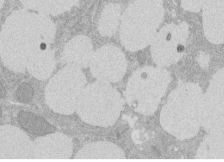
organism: Rat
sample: Salivary granule